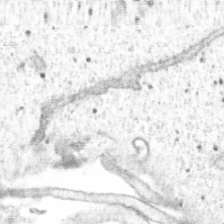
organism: Human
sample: HeLa cells